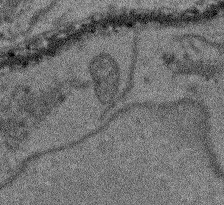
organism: Arabidopsis thaliana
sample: Root tip